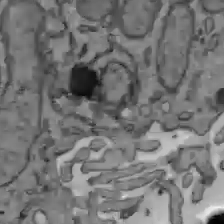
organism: C57BL Mouse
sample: Liver